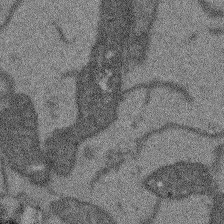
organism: Arabidopsis thaliana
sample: Root tip